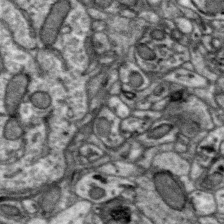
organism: Zebra finch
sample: Brain